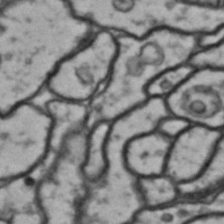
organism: Drosophila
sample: Brain